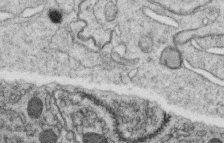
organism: C. elegans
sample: C. elegans oocyte; sperm cells